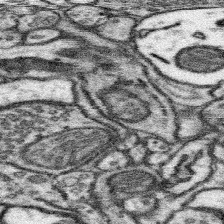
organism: Mouse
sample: Somatosensory cortex neuropil